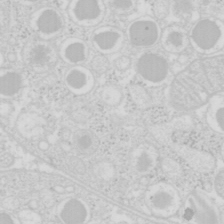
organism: Mouse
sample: Pancreas